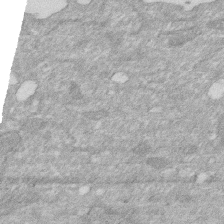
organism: Human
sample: HIV infected U937 cells